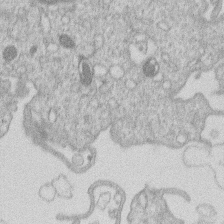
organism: Human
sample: Macrophage cells